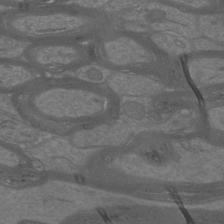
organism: Mouse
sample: Cortical neurons